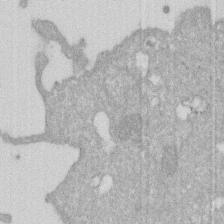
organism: Human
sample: HIV infected U937 cells